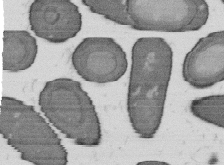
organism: B. subtilis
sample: Bacterial spore